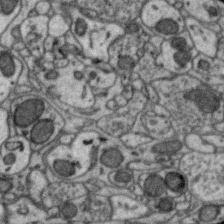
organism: Zebra finch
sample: Brain